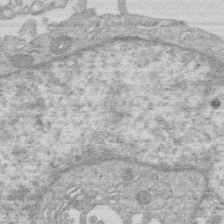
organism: Human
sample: Macrophage cells